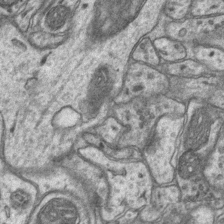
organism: Mouse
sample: CA1 Hippocampus